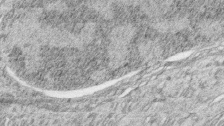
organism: Zebrafish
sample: synaptic ribbons in rod cells and cone cells